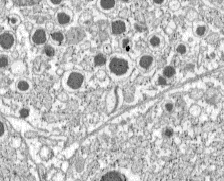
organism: C57BL Mouse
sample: Pancreatic islet